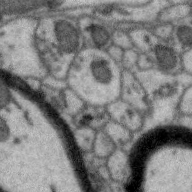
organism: Zebra finch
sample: Brain